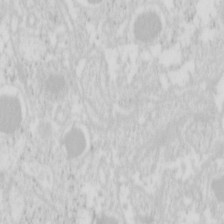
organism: Mouse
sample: Pancreas